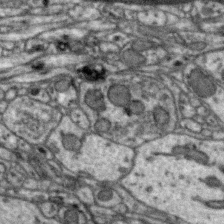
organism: Zebra finch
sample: Brain